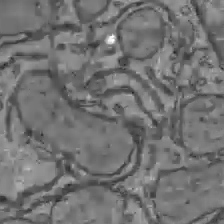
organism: C57BL Mouse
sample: Liver